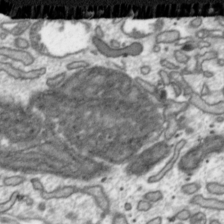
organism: Toxoplasma gondii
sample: Parasites in a vacuole inside a host cell